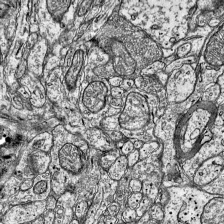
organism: Mouse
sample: Visual Cortex